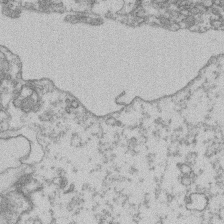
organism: Mouse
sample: T cell stromal cell synapse